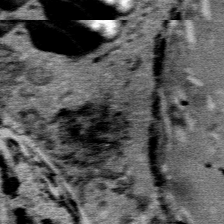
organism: Mouse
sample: Mouse Salivary gland